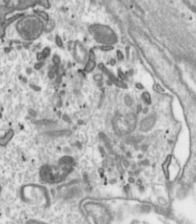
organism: Toxoplasma gondii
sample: Parasites in a vacuole inside a host cell